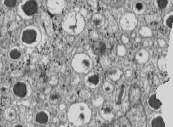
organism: C57BL Mouse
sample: Pancreatic islet